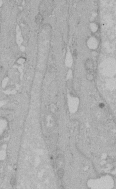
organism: Human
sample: Melanocyte Keratinocyte synapse skin construct